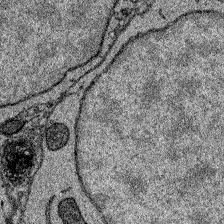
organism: Zebrafish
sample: Larval olfactory bulb